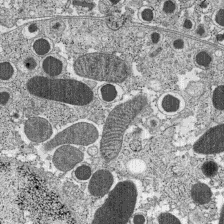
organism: C57BL Mouse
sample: Pancreatic islet